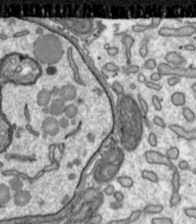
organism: Toxoplasma gondii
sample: Parasites in a vacuole inside a host cell